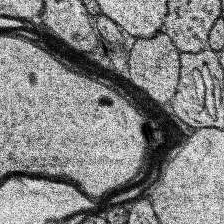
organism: Human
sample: Temporal Lobe